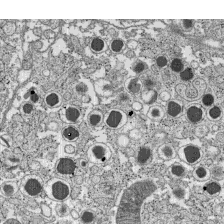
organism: C57BL Mouse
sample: Pancreatic islet